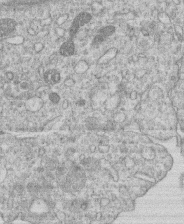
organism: Human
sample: Macrophage cells